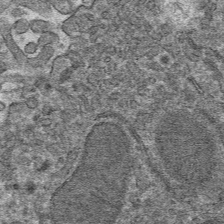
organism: Mouse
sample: Mouse hepatocytes